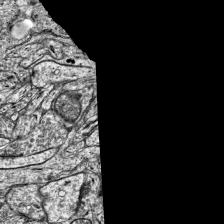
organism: Mouse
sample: Visual Cortex